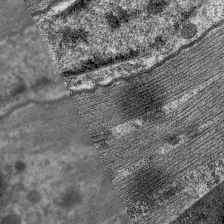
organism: C. elegans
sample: Pharynx